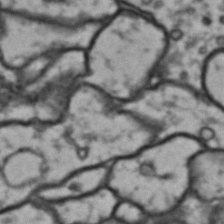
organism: Drosophila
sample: Brain